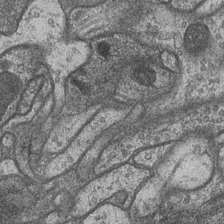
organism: Drosophila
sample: Optic medulla